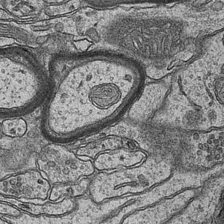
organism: Mouse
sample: CA1 Hippocampus